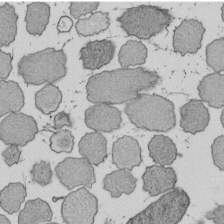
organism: E. coli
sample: Bacterial nucleoid